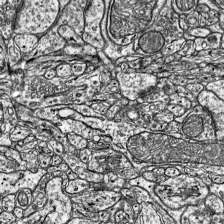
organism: Mouse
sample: Visual Cortex